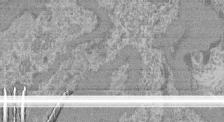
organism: Mouse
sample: Glomerulus